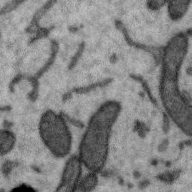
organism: Zebra finch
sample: Brain